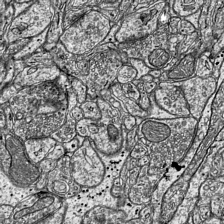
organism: Mouse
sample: Visual Cortex